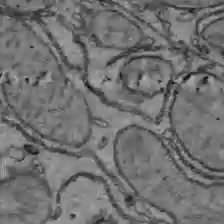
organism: C57BL Mouse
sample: Liver